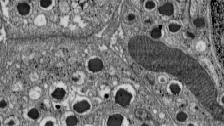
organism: C57BL Mouse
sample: Pancreatic islet